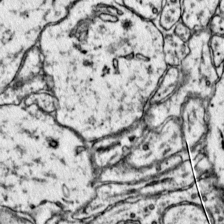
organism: Mouse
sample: Primary visual cortex